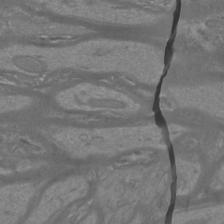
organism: Mouse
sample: Cortical neurons